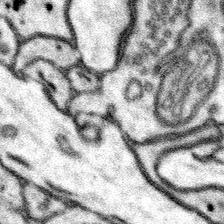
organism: Mouse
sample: Somatosensory cortex neuropil